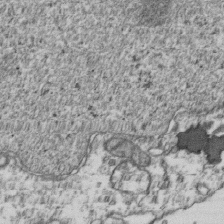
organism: Human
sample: Activated Jurkat CD4+ T cells